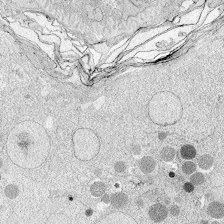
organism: Zebrafish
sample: Whole-Brain